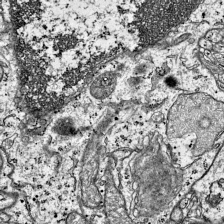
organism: Mouse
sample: Visual Cortex